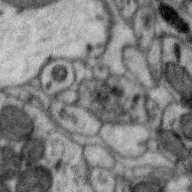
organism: Zebra finch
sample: Brain